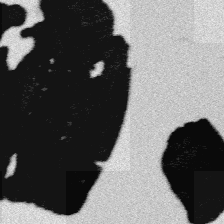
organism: Platynereis dumerilii